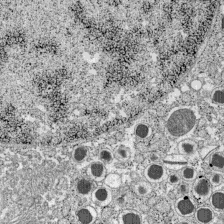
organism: C57BL Mouse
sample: Pancreatic islet